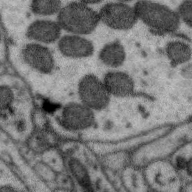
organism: Zebra finch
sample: Brain